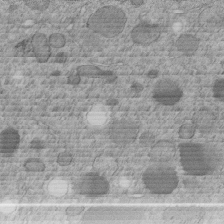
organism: C. elegans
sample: C. elegans embryo early stage